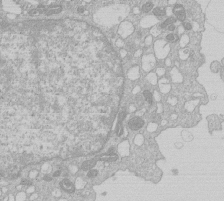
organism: Human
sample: Macrophage cells